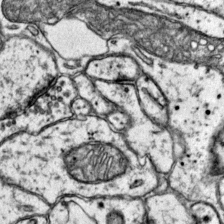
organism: Mouse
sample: Primary visual cortex